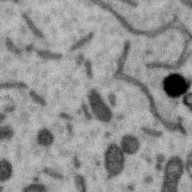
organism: Zebra finch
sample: Brain